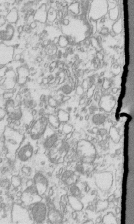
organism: Mouse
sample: Macrophages